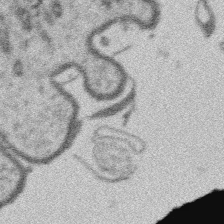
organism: Platynereis dumerilii